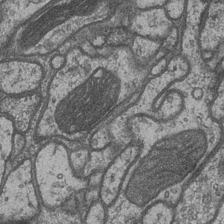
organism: Drosophila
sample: Optic medulla